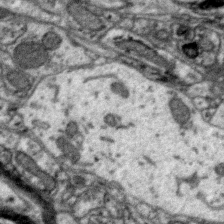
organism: Zebra finch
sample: Brain